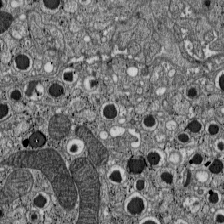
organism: C57BL Mouse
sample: Pancreatic islet